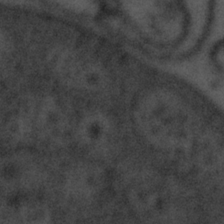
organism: Tuwongella immobilis